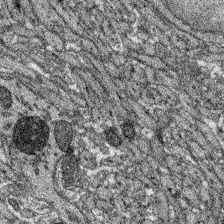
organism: Zebrafish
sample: Larval olfactory bulb